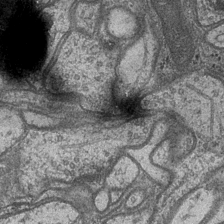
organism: Drosophila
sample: Optic medulla